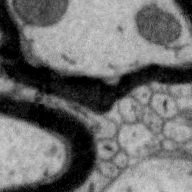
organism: Zebra finch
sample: Brain